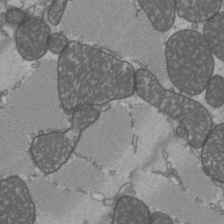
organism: C57BL Mouse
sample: Heart